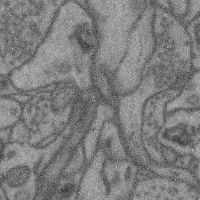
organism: Mouse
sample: Cerebral cortex